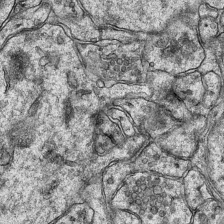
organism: Mouse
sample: CA1 Hippocampus